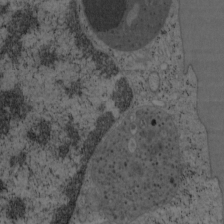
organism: Mouse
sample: OT-I killer T cells with ID8 ovarian cancer cells